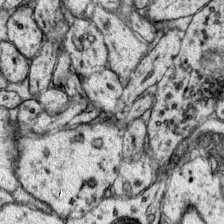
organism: Mouse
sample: Primary visual cortex